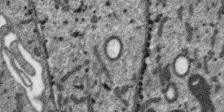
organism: Human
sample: Lung epithelial cells infected with SARS-CoV-2